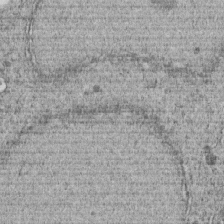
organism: C. elegans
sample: C. elegans embryo early stage